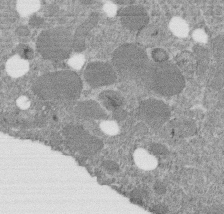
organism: C. elegans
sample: C. elegans embryo early stage